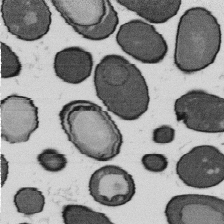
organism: B. subtilis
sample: Bacterial spore